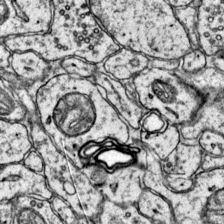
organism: Mouse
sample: Primary visual cortex